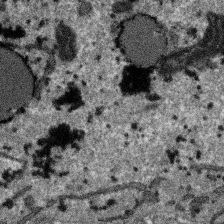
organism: Human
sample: Lung epithelial cells infected with SARS-CoV-2